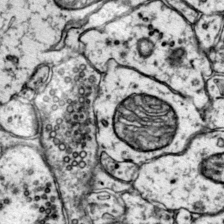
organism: Mouse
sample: Primary visual cortex